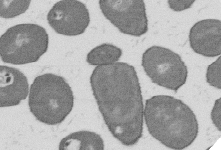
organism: B. subtilis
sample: Bacterial spore